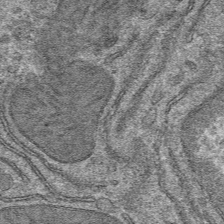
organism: Mouse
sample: Mouse hepatocytes